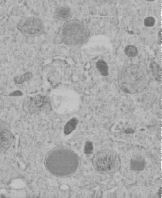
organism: C. elegans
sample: C. elegans embryo early stage